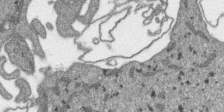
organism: Human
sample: Lung epithelial cells infected with SARS-CoV-2